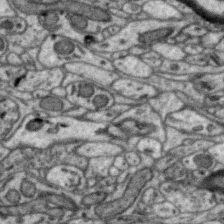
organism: Zebra finch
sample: Brain